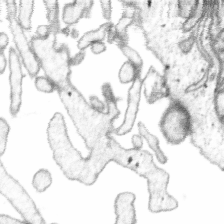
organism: Human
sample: HeLa cells